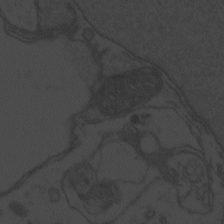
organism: Zebrafish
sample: Macrophage infected with Toxoplasma gondii